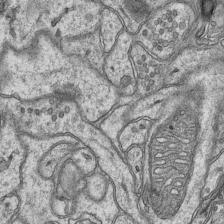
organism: Mouse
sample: CA1 Hippocampus